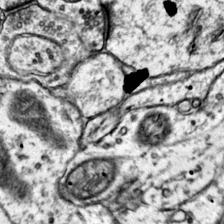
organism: Mouse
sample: Primary visual cortex